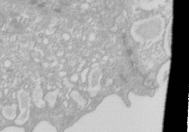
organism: Xenopus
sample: Cilia; centrioles in frog embryo cells